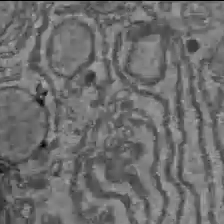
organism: C57BL Mouse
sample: Liver